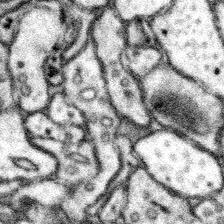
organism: Mouse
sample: Somatosensory cortex neuropil